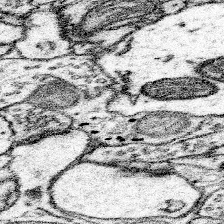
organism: Mouse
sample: Somatosensory cortex neuropil